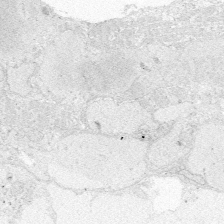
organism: Zebrafish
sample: Whole-Brain